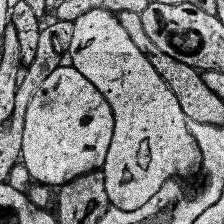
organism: Human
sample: Temporal Lobe